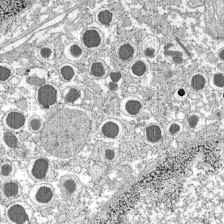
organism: C57BL Mouse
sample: Pancreatic islet